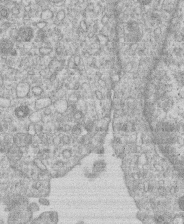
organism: Human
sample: Macrophage cells